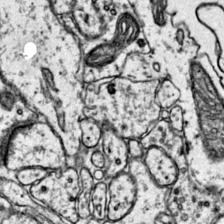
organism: Mouse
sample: Primary visual cortex